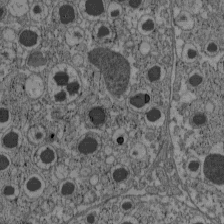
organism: C57BL Mouse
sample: Pancreatic islet